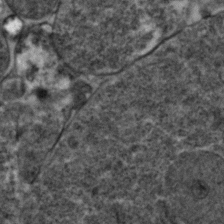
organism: Zebrafish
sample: Zebrafish embryo